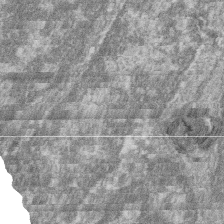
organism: Zebrafish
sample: Cilia; retinal pigment epithelium